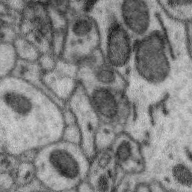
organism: Zebra finch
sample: Brain